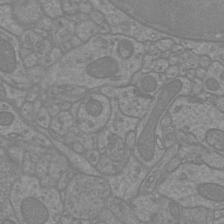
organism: Mouse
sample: Cortical neurons